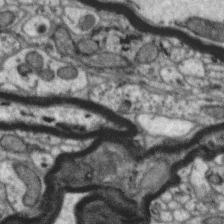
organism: Zebra finch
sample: Brain